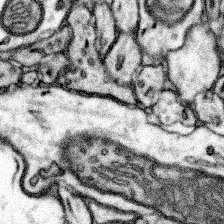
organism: Mouse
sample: Somatosensory cortex neuropil